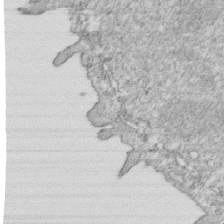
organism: Mouse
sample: Activated OT-1 CD8+ T cells